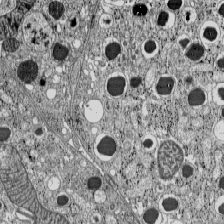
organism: C57BL Mouse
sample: Pancreatic islet